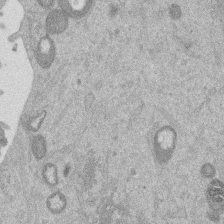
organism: Mouse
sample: Dividing mouse embryo 1 cell stage